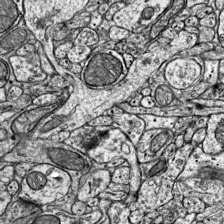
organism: Mouse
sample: Visual Cortex